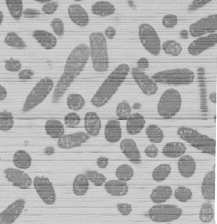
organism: E. coli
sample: Bacterial nucleoid